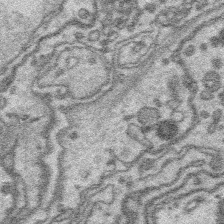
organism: Platynereis dumerilii